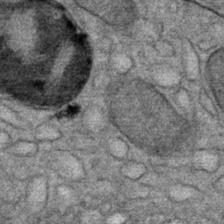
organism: Mouse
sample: Mouse Salivary gland